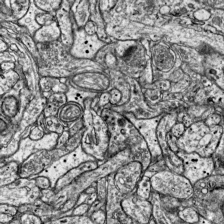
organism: Mouse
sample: Visual Cortex